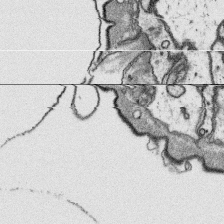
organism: Platynereis dumerilii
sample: Parapodia